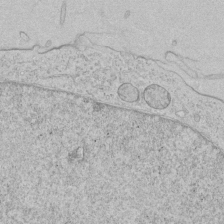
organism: Human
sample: Mitochondria in HCT116 cells